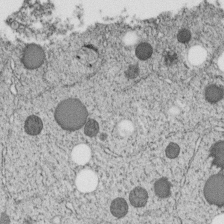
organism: C. elegans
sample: C. elegans embryo early stage